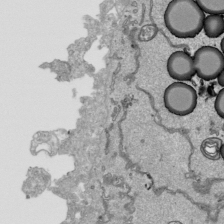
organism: Human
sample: Mitochondria in HCT116 cells